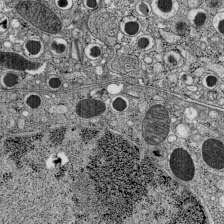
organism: C57BL Mouse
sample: Pancreatic islet